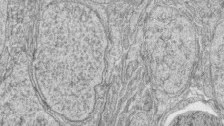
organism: Zebrafish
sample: synaptic ribbons in rod cells and cone cells